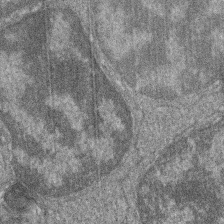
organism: Zebrafish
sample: Cilia; retinal pigment epithelium